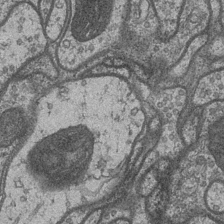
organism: Drosophila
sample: Optic medulla